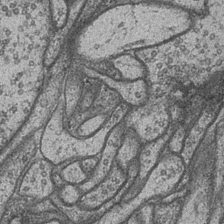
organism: Drosophila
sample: Optic medulla